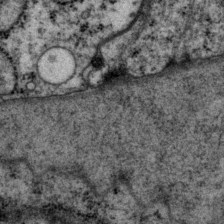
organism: P. pacificus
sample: Pharynx